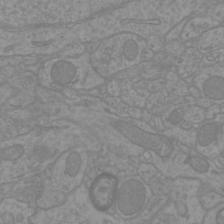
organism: Mouse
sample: Cortical neurons